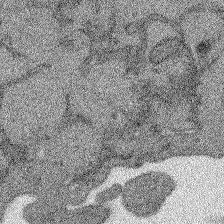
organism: Human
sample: HeLa cells